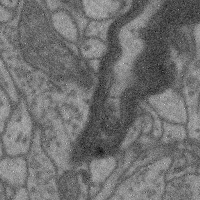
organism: Mouse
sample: Cerebral cortex